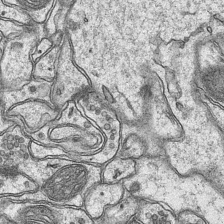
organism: Mouse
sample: CA1 Hippocampus